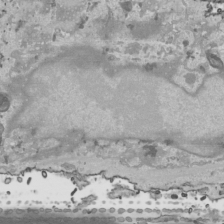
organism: Human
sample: Mitochondria in HCT116 cells